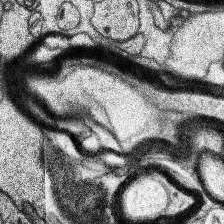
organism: Human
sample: Temporal Lobe